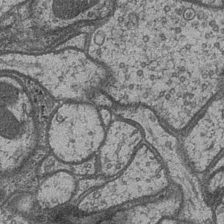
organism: Drosophila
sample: Optic medulla